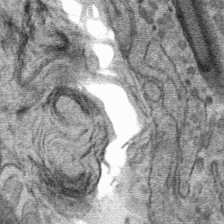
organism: Mouse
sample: Mouse hepatocytes